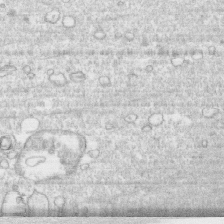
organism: Human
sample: CRL-1474